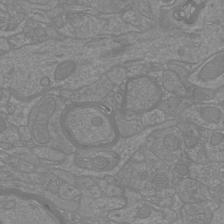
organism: Mouse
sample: Cortical neurons